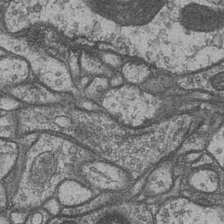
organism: Drosophila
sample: Optic medulla